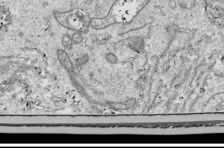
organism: Drosophila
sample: Cell division; meiosis; drosophila spermatocytes